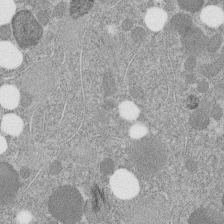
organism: C. elegans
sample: C. elegans embryo early stage